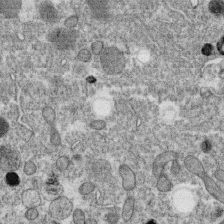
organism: C. elegans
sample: C. elegans oocyte; sperm cells